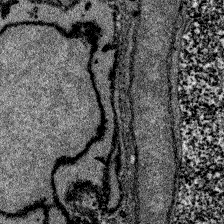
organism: Zebrafish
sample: Larval olfactory bulb